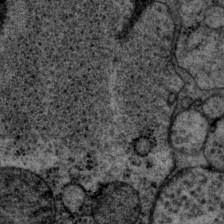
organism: P. pacificus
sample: Pharynx